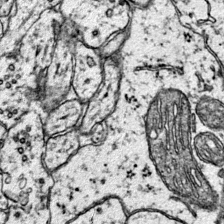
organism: Mouse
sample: Primary visual cortex